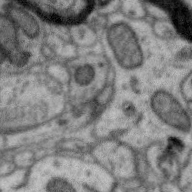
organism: Zebra finch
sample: Brain